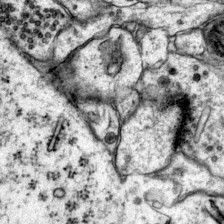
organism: Mouse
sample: Primary visual cortex